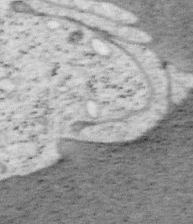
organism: Mouse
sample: OT-I killer T cells with ID8 ovarian cancer cells